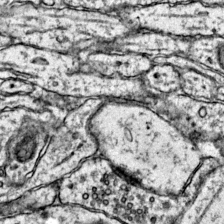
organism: Mouse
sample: Primary visual cortex